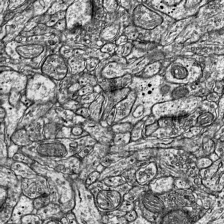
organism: Mouse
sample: Visual Cortex